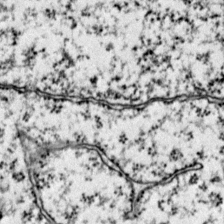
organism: Mouse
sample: Primary visual cortex